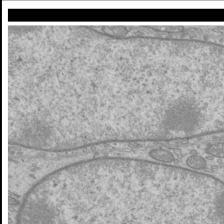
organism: Mouse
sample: Cilia; mouse epididymis